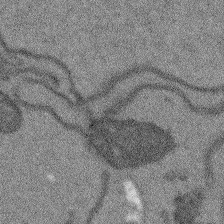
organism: Arabidopsis thaliana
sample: Root tip